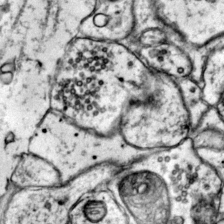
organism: Mouse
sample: Primary visual cortex